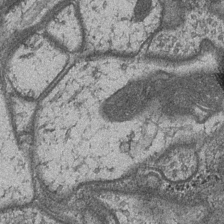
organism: Drosophila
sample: Optic medulla